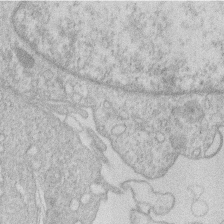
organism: Human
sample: Macrophage cells